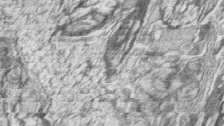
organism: Zebrafish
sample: synaptic ribbons in rod cells and cone cells